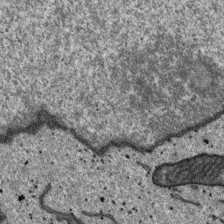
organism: Human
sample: Lung epithelial cells, uninfected (mock) control